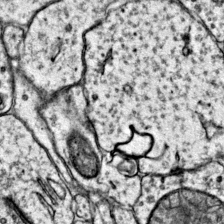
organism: Mouse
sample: Primary visual cortex